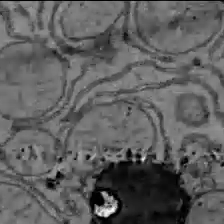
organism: C57BL Mouse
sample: Liver